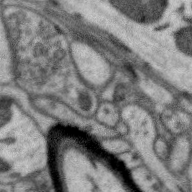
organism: Zebra finch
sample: Brain